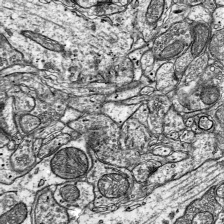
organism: Mouse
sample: Visual Cortex